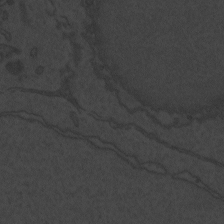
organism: Zebrafish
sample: Macrophage infected with Toxoplasma gondii